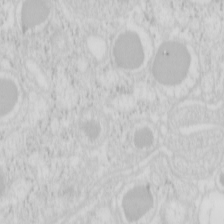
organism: Mouse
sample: Pancreas